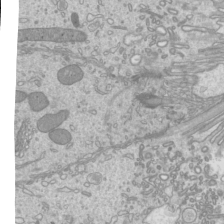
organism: Mouse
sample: Cilia; mouse epididymis